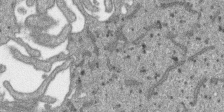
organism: Human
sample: Lung epithelial cells infected with SARS-CoV-2